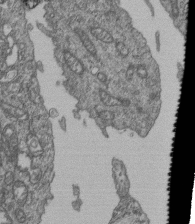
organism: Human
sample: Retinal organoid Rod and Cone cells